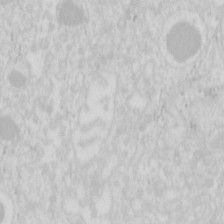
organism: Mouse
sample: Pancreas